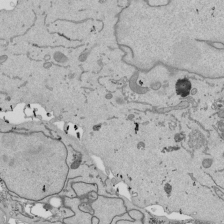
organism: Mouse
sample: ED-1 cell nuclei; centrioles